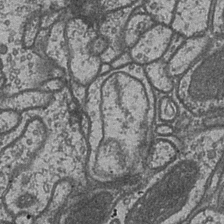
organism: Drosophila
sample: Optic medulla